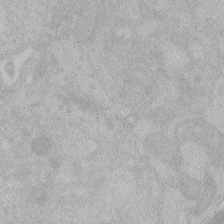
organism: Zebrafish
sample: Macrophage infected with Toxoplasma gondii